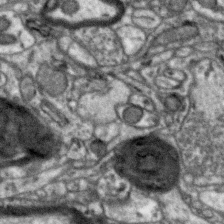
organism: Zebra finch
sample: Brain